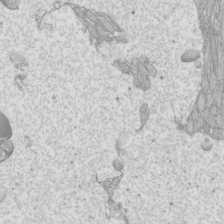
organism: Mouse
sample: Cilia; mouse epididymis